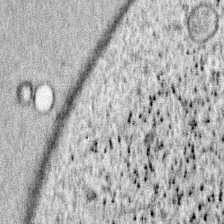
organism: Human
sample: HeLa cells